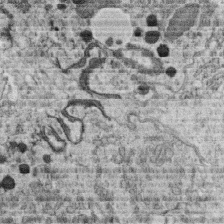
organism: C. elegans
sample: C. elegans oocyte; sperm cells